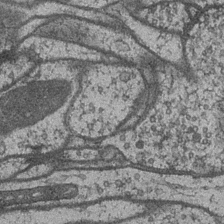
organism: Drosophila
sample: Optic medulla